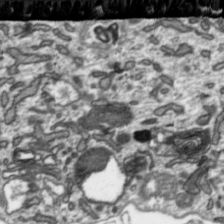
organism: Toxoplasma gondii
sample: Parasites in a vacuole inside a host cell